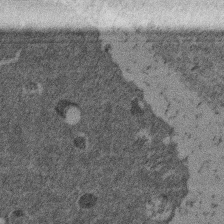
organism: Mouse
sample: Dividing mouse embryo 1 cell stage